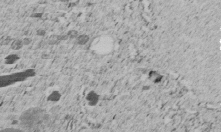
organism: C. elegans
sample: C. elegans embryo early stage